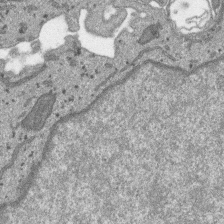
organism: Human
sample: Lung epithelial cells infected with SARS-CoV-2